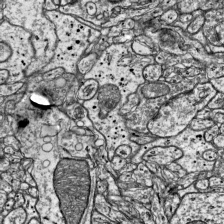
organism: Mouse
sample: Visual Cortex